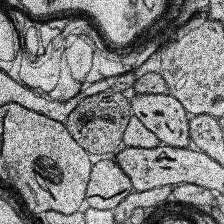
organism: Human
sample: Temporal Lobe